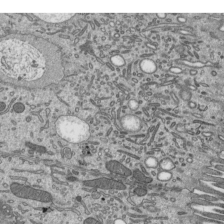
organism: Mouse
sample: Mouse epididymis efferent ductule cilia